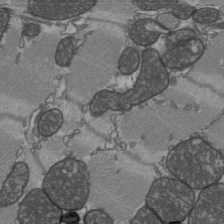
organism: C57BL Mouse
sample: Heart